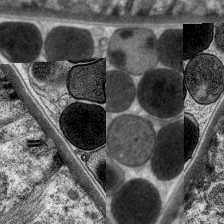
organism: C. elegans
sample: Pharynx